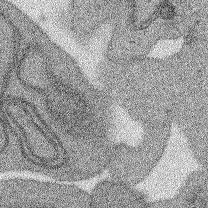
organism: Human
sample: HeLa cells